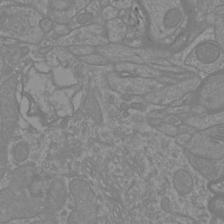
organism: Mouse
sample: Cortical neurons